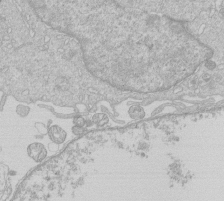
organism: Human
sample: Macrophage cells